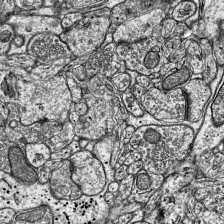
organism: Mouse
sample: Visual Cortex